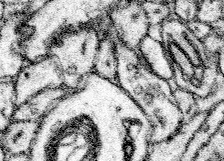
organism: Mouse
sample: Somatosensory cortex neuropil